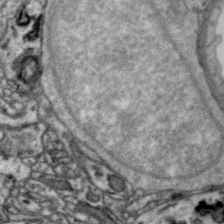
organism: Zebra finch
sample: Brain